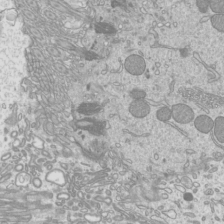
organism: Mouse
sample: Cilia; mouse epididymis